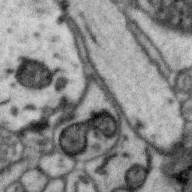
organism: Zebra finch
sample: Brain